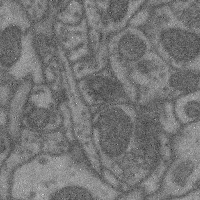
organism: Mouse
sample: Cerebral cortex